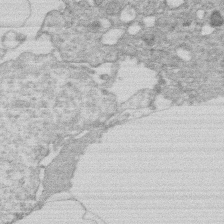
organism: Human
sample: Macrophage cells